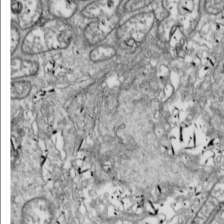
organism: Drosophila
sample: Cell division; meiosis; drosophila spermatocytes